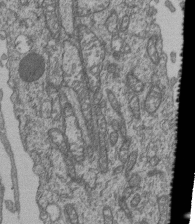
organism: Human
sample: Retinal organoid Rod and Cone cells